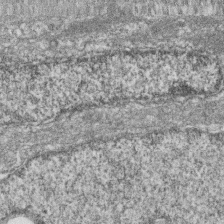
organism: Zebrafish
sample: Cilia; retinal pigment epithelium